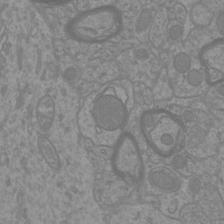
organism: Mouse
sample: Cortical neurons